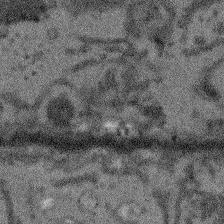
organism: Arabidopsis thaliana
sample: Root tip